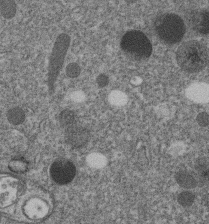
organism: C. elegans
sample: C. elegans embryo early stage